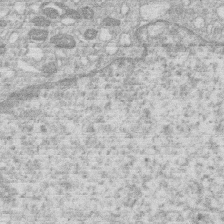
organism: Human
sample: Macrophage cells